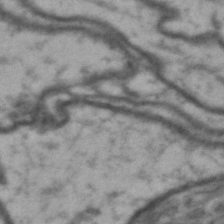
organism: Drosophila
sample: Brain